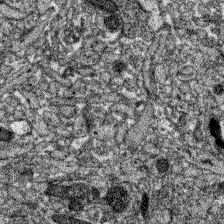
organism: Zebrafish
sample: Larval olfactory bulb